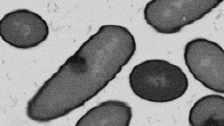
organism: B. subtilis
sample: Bacterial spore